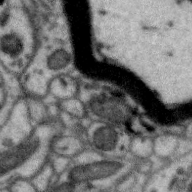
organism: Zebra finch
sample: Brain